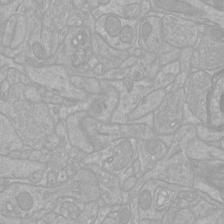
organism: Mouse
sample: Cortical neurons